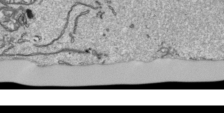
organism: Human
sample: Mitochondria in HCT116 cells